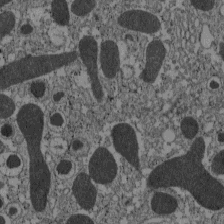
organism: C57BL Mouse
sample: Pancreatic islet